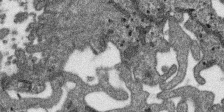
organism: Human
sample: Lung epithelial cells infected with SARS-CoV-2